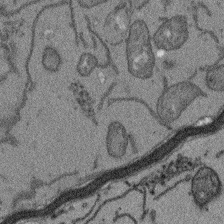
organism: Arabidopsis thaliana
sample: Root tip